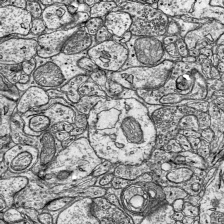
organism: Mouse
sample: Visual Cortex